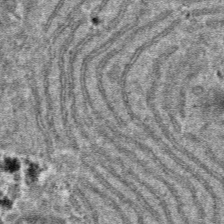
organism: Mouse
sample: Mouse hepatocytes